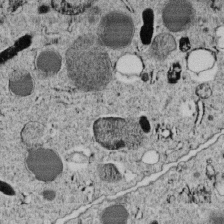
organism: C. elegans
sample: C. elegans embryo early stage